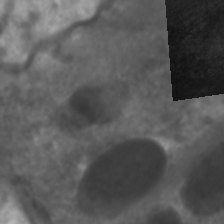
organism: C. elegans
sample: Pharynx